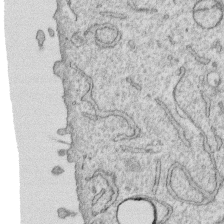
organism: Human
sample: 1205lu cells